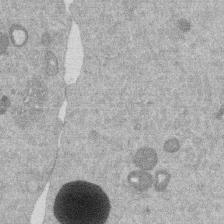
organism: Mouse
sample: Dividing mouse embryo 1 cell stage